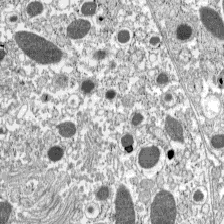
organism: C57BL Mouse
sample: Pancreatic islet